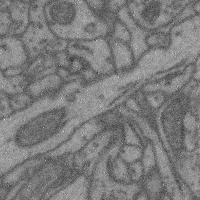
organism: Mouse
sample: Cerebral cortex